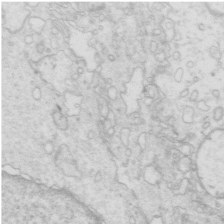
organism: Mouse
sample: Multiciliated cells